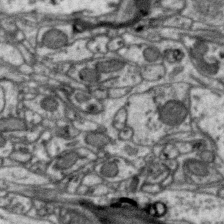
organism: Zebra finch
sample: Brain